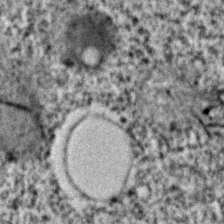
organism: C. elegans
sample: C. elegans embryo